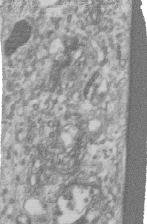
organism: Human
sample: Centriole in RPE cells